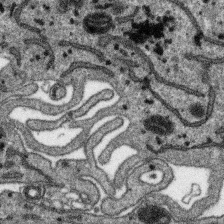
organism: Human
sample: Lung epithelial cells infected with SARS-CoV-2